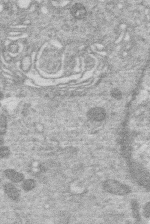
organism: Human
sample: Macrophage cells